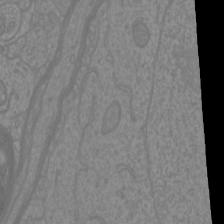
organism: Mouse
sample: Cortical neurons